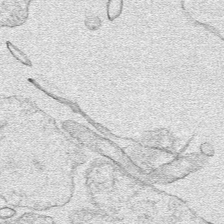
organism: Human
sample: Mitochondria in HCT116 cells